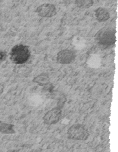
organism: C. elegans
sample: C. elegans embryo early stage